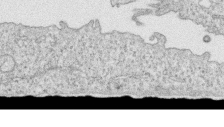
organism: Human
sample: HeLa cell HIV synapse